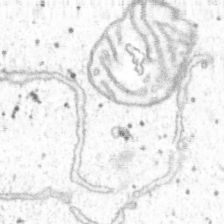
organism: Human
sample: HeLa cells